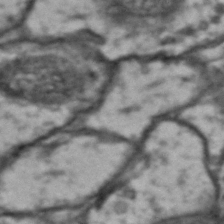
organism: Drosophila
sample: Brain